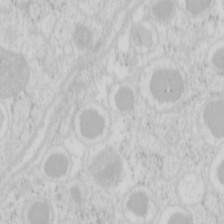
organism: Mouse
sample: Pancreas